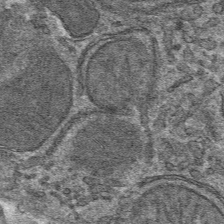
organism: Mouse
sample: Mouse hepatocytes